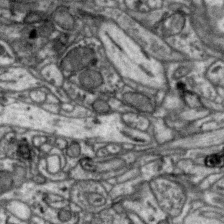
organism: Zebra finch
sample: Brain